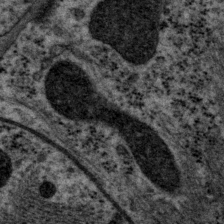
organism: P. pacificus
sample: Pharynx